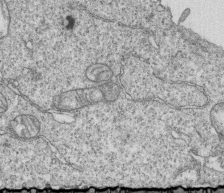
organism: Human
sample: HeLa cell HIV synapse